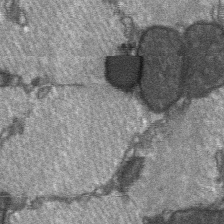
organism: C57BL Mouse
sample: Soleus